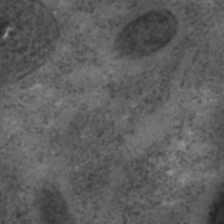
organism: C. elegans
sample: C. elegans embryo